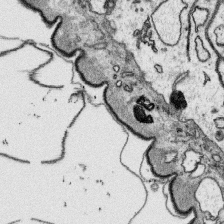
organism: Platynereis dumerilii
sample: Parapodia